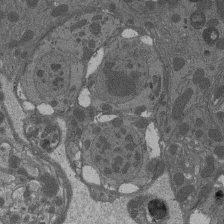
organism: Drosophila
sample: Antenna